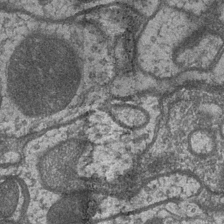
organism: Drosophila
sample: Optic medulla